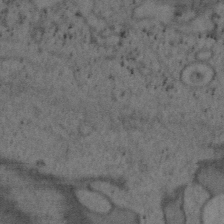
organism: Human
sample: HeLa cells